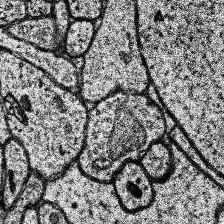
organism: Human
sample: Temporal Lobe